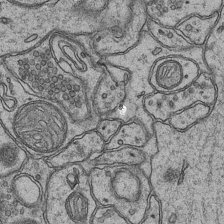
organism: Mouse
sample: CA1 Hippocampus